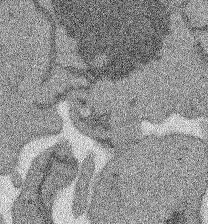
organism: Human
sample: HeLa cells